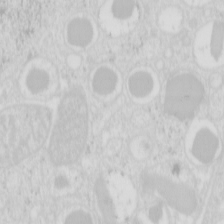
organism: Mouse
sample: Pancreas